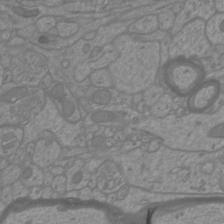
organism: Mouse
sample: Cortical neurons